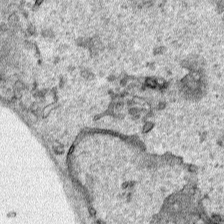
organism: Human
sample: Mitochondria in HCT116 cells